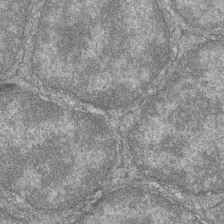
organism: Zebrafish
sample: Cilia; retinal pigment epithelium